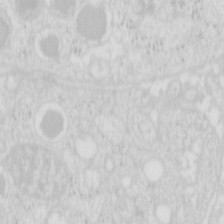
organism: Mouse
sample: Pancreas